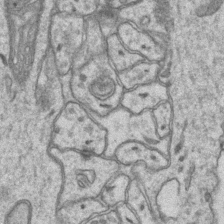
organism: Mouse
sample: CA1 Hippocampus